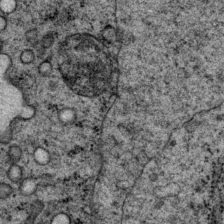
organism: P. pacificus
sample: Pharynx